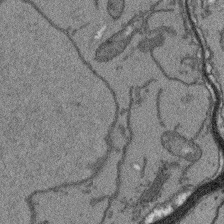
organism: Arabidopsis thaliana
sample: Root tip